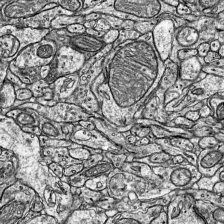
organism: Mouse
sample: Visual Cortex